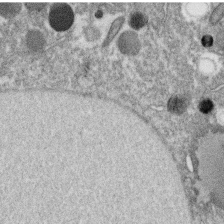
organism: C. elegans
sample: C. elegans oocyte; sperm cells